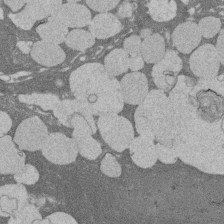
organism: Rat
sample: Salivary granule